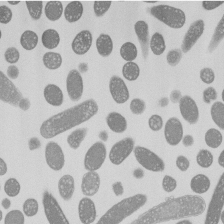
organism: E. coli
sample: Bacterial nucleoid